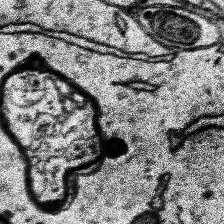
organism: Human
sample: Temporal Lobe